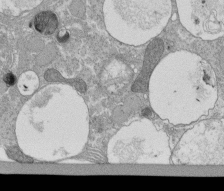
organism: Tetrahymena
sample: Cilia in tetrahymena